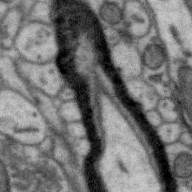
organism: Zebra finch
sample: Brain